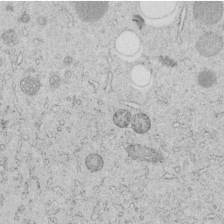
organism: C. elegans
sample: C. elegans embryo early stage